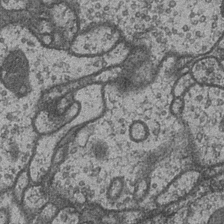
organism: Drosophila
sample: Optic medulla